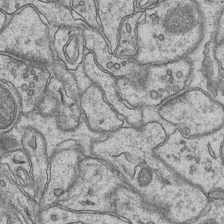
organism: Mouse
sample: CA1 Hippocampus